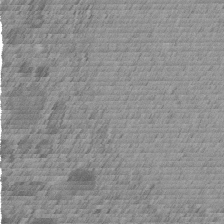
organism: C. elegans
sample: C. elegans embryo early stage